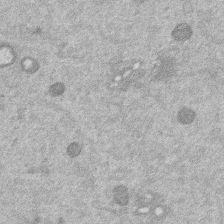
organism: Mouse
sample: Dividing mouse embryo 1 cell stage